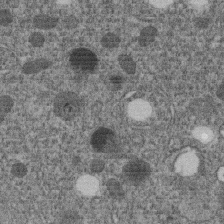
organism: C. elegans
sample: C. elegans embryo early stage